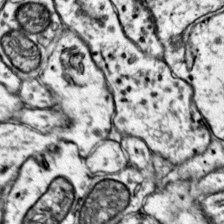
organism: Mouse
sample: Primary visual cortex